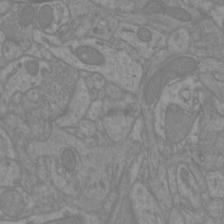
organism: Mouse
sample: Cortical neurons